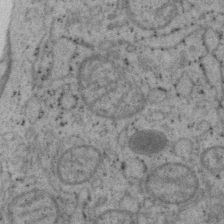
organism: Human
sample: HeLa cells